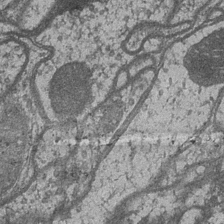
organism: Drosophila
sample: Optic medulla